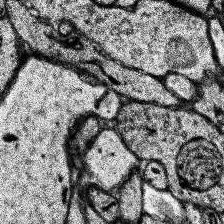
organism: Human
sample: Temporal Lobe